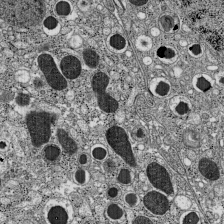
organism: C57BL Mouse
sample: Pancreatic islet